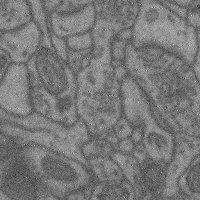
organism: Mouse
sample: Cerebral cortex